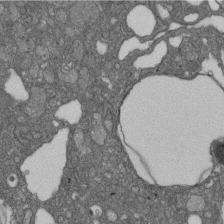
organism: Drosophila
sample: Nephrocyte